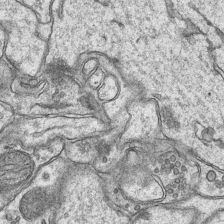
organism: Mouse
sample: CA1 Hippocampus